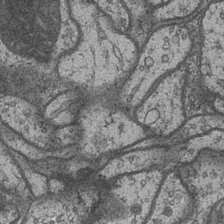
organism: Drosophila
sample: Optic medulla